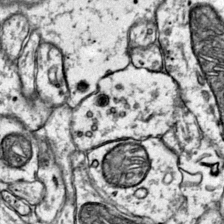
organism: Mouse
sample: Primary visual cortex